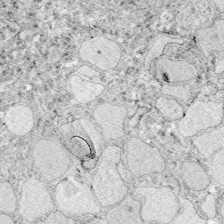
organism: Zebrafish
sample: Whole-Brain